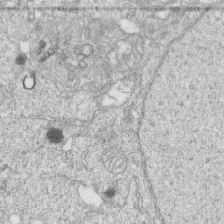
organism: Human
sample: HeLa cell HIV synapse